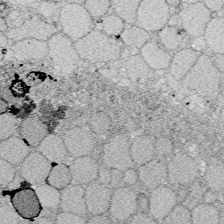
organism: Zebrafish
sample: Whole-Brain